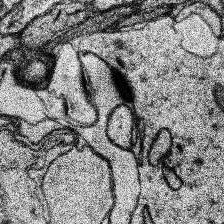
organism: Human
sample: Temporal Lobe